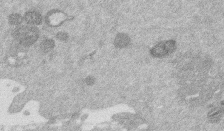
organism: Mouse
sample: Dividing mouse embryo 1 cell stage